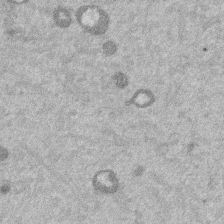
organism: Mouse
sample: Dividing mouse embryo 1 cell stage